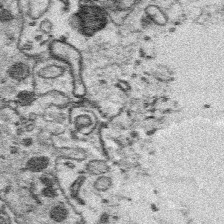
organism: Platynereis dumerilii